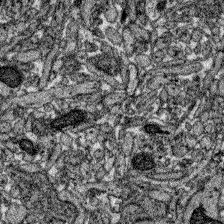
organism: Zebrafish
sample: Larval olfactory bulb